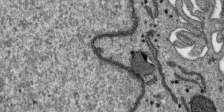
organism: Human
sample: Lung epithelial cells, uninfected (mock) control